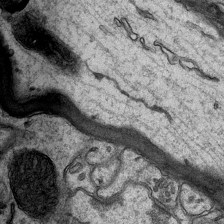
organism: Mouse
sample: CA1 Hippocampus